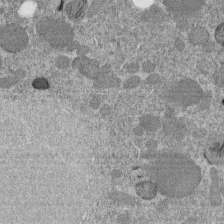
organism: C. elegans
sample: C. elegans embryo early stage